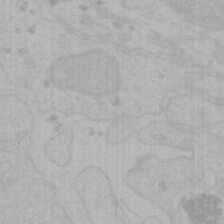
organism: Mouse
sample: Choroid plexus